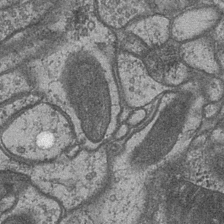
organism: Drosophila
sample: Optic medulla